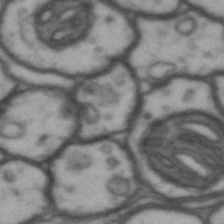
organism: Drosophila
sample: Brain